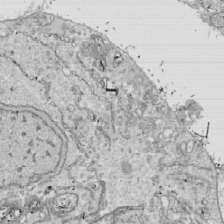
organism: Drosophila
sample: Cell division; meiosis; drosophila spermatocytes